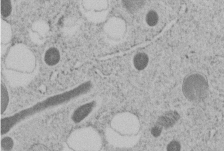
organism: C. elegans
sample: C. elegans embryo early stage